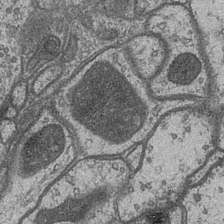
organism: Drosophila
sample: Optic medulla